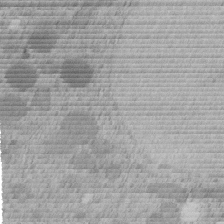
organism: C. elegans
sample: C. elegans embryo early stage